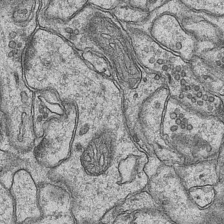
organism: Mouse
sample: CA1 Hippocampus